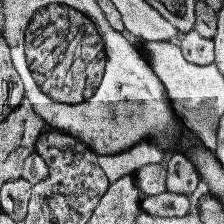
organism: Human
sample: Temporal Lobe